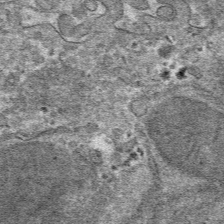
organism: Mouse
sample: Mouse hepatocytes